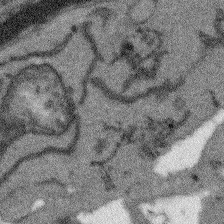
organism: Arabidopsis thaliana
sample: Root tip